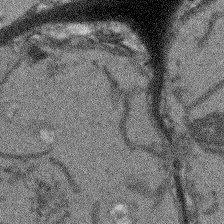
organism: Arabidopsis thaliana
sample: Root tip